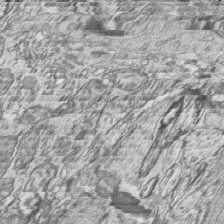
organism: Zebrafish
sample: synaptic ribbons in rod cells and cone cells